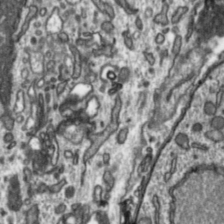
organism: Toxoplasma gondii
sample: Parasites in a vacuole inside a host cell